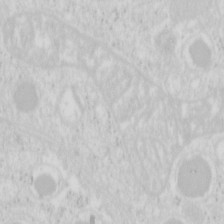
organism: Mouse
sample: Pancreas